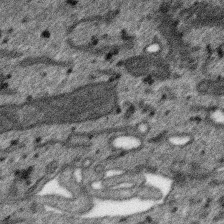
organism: Human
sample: Lung epithelial cells infected with SARS-CoV-2